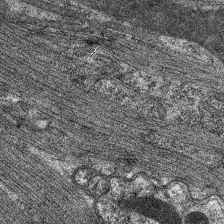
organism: C. elegans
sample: Pharynx